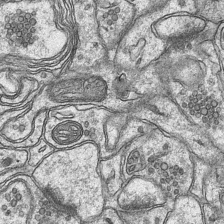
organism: Mouse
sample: CA1 Hippocampus